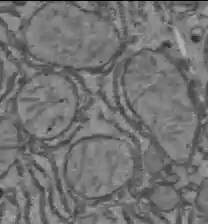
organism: C57BL Mouse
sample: Liver